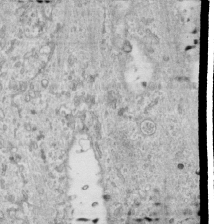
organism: Human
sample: Centriole in RPE cells